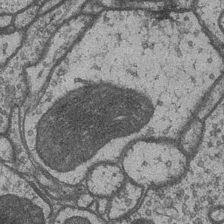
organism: Drosophila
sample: Optic medulla